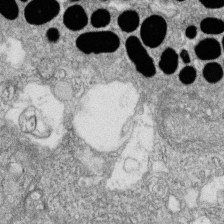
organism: Zebrafish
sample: Cilia; retinal pigment epithelium